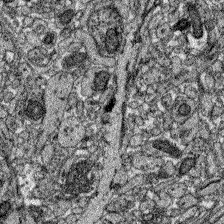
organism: Zebrafish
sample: Larval olfactory bulb